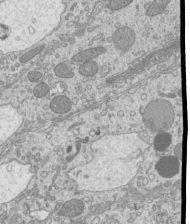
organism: Mouse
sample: Cilia; mouse epididymis